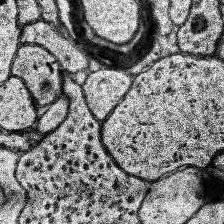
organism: Human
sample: Temporal Lobe